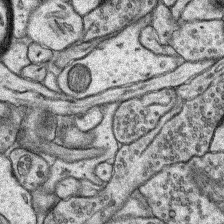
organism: Rat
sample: Hippocampus